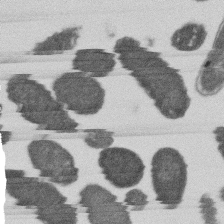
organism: E. coli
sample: Bacterial nucleoid